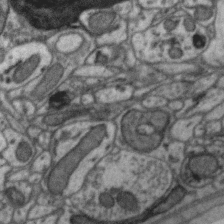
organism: Zebra finch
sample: Brain